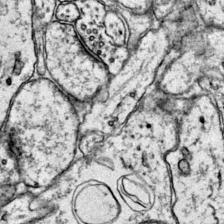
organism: Mouse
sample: Primary visual cortex